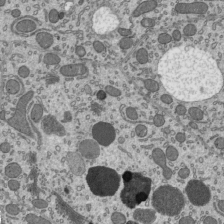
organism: Mouse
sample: Mouse epididymis efferent ductule cilia